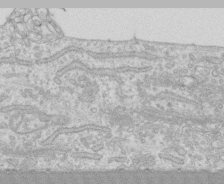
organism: Human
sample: CRL-1474